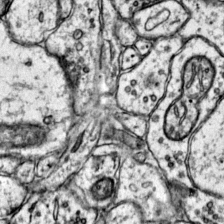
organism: Mouse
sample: Primary visual cortex